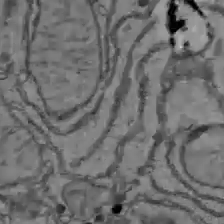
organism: C57BL Mouse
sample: Liver